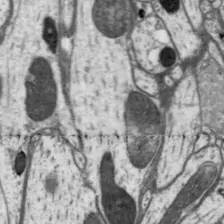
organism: Drosophila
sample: Protocerebral bridge